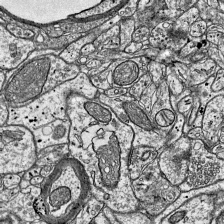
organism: Mouse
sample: Visual Cortex